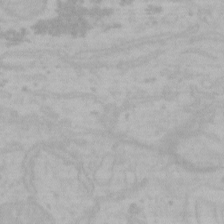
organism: Mouse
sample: Choroid plexus